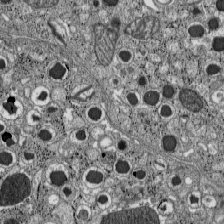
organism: C57BL Mouse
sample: Pancreatic islet